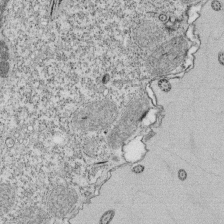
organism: Tetrahymena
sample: Cilia in tetrahymena